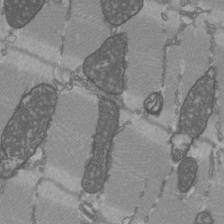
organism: C57BL Mouse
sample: Heart